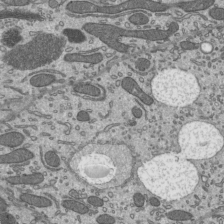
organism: Mouse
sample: Mouse epididymis efferent ductule cilia